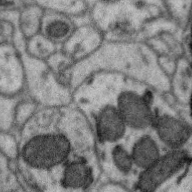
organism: Zebra finch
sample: Brain